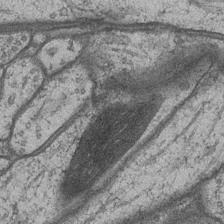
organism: Drosophila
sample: Optic medulla